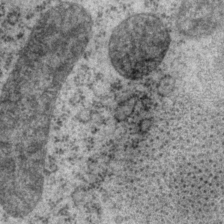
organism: P. pacificus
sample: Pharynx